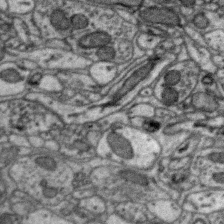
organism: Zebra finch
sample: Brain